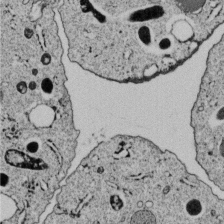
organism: C. elegans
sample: C. elegans embryo early stage